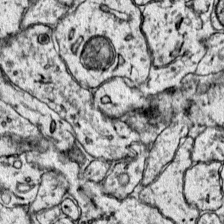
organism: Mouse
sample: Primary visual cortex